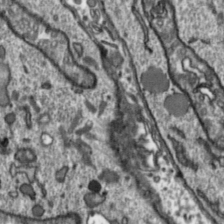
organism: Toxoplasma gondii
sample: Parasites in a vacuole inside a host cell